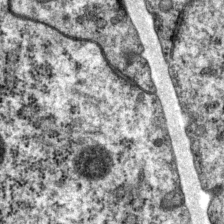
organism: P. pacificus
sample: Pharynx